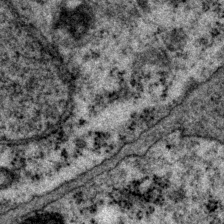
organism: P. pacificus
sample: Pharynx